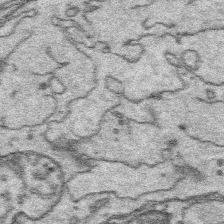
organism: Platynereis dumerilii